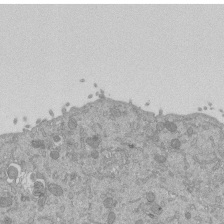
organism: Mouse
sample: ED-1 cell nuclei; centrioles